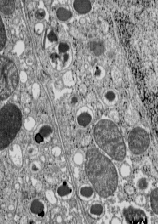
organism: C57BL Mouse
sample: Pancreatic islet